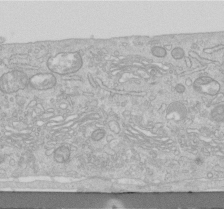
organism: Human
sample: Centriole in RPE cells